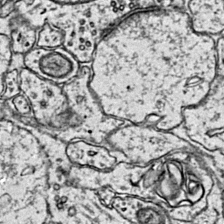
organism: Mouse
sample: Primary visual cortex